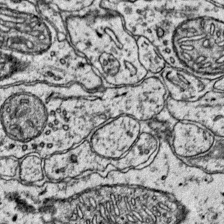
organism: Mouse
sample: Primary visual cortex